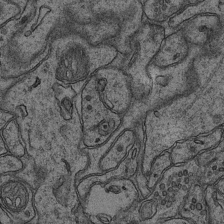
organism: Mouse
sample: CA1 Hippocampus